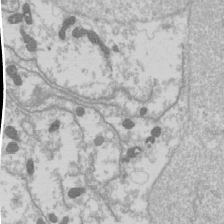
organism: Drosophila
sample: Cell division; meiosis; drosophila spermatocytes